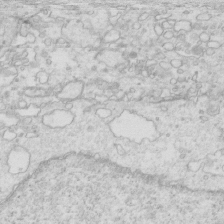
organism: Mouse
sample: Multiciliated cells